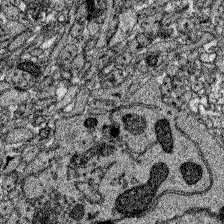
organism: Zebrafish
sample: Larval olfactory bulb